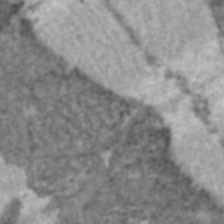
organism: C57BL Mouse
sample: Heart